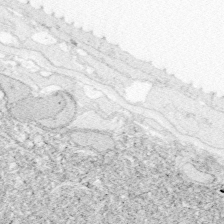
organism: Zebrafish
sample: Whole-Brain